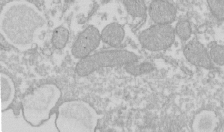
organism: Xenopus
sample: Cilia; centrioles in frog embryo cells